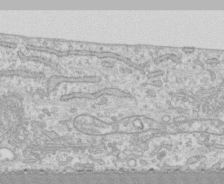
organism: Human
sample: CRL-1474